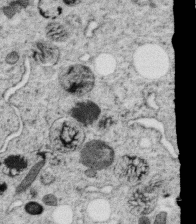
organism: C. elegans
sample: C. elegans oocyte; sperm cells